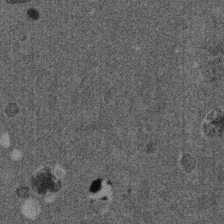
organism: Mouse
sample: Dividing mouse embryo 1 cell stage